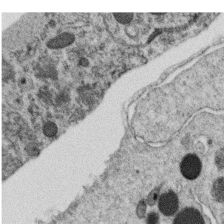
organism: C. elegans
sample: C. elegans oocyte; sperm cells